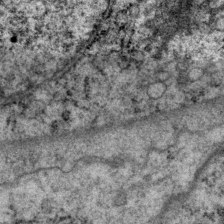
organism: P. pacificus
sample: Pharynx